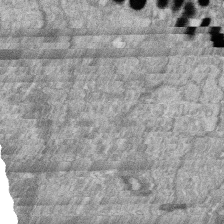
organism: Zebrafish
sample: Cilia; retinal pigment epithelium